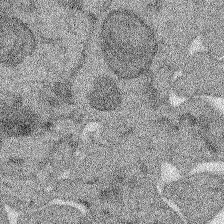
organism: Human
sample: HeLa cells